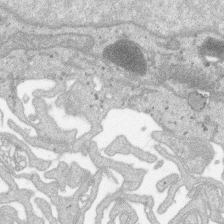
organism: Human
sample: Lung epithelial cells infected with SARS-CoV-2